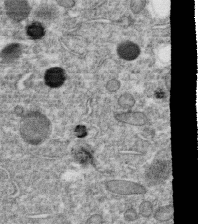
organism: C. elegans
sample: C. elegans oocyte; sperm cells